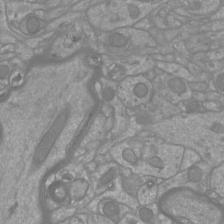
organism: Mouse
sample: Cortical neurons